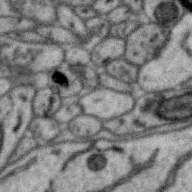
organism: Zebra finch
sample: Brain